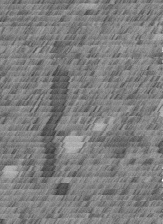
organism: C. elegans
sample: C. elegans embryo early stage